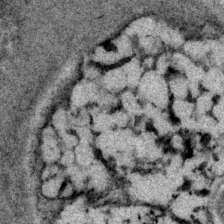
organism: P. pacificus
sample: Pharynx